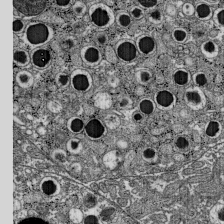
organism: C57BL Mouse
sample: Pancreatic islet